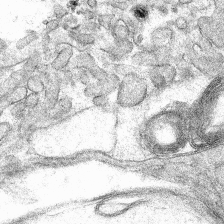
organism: Mouse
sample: Mouse hepatocytes